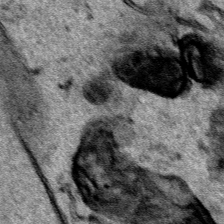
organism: Human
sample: Mitochondria in HCT116 cells